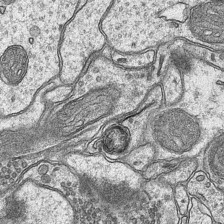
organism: Mouse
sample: CA1 Hippocampus